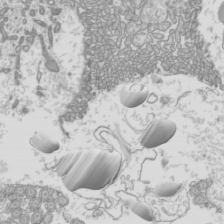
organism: Mouse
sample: Cilia; mouse epididymis